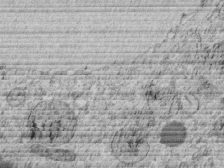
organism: C. elegans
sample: C. elegans embryo early stage